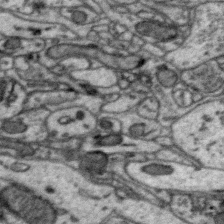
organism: Zebra finch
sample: Brain